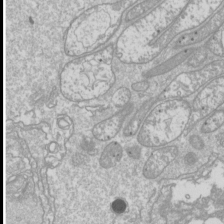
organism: Drosophila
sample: Cell division; meiosis; drosophila spermatocytes